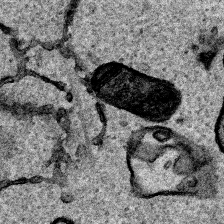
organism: Human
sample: Mitochondria in HCT116 cells